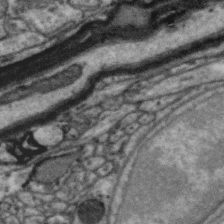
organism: Zebra finch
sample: Brain